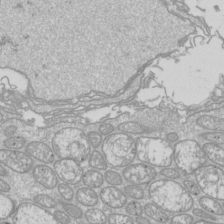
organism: Drosophila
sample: Cell division; meiosis; drosophila spermatocytes